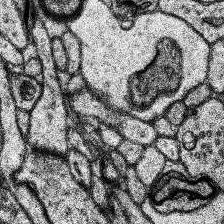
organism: Human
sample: Temporal Lobe